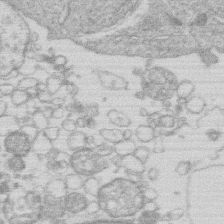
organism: Human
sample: Macrophage cells